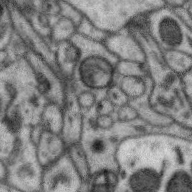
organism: Zebra finch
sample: Brain